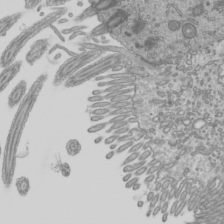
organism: Mouse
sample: Cilia; mouse epididymis